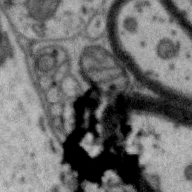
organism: Zebra finch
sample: Brain